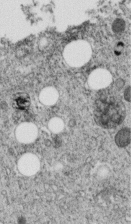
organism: C. elegans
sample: C. elegans embryo early stage